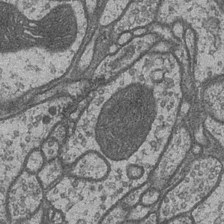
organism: Drosophila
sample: Optic medulla